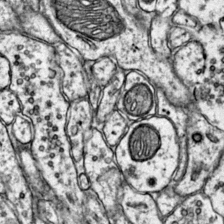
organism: Mouse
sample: Primary visual cortex